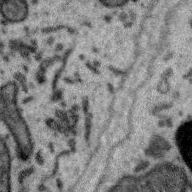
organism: Zebra finch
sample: Brain